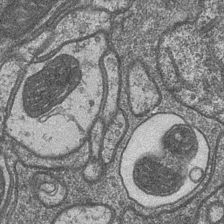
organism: Drosophila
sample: Optic medulla